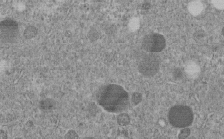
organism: C. elegans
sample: C. elegans embryo early stage